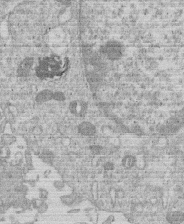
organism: Human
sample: Macrophage cells